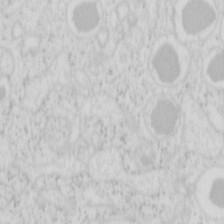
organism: Mouse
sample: Pancreas